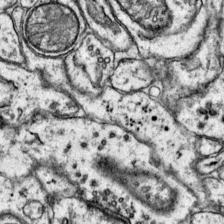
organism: Mouse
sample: Primary visual cortex